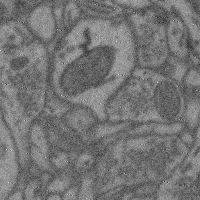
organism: Mouse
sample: Cerebral cortex